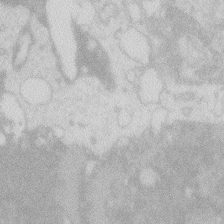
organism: Zebrafish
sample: Macrophage